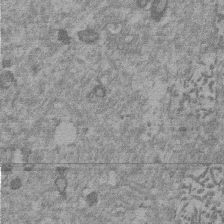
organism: Mouse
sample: Dividing mouse embryo 1 cell stage